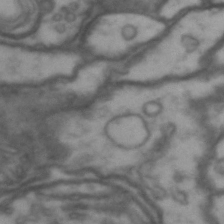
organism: Drosophila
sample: Brain